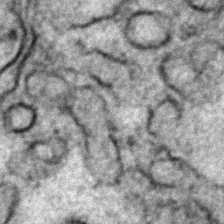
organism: Zebrafish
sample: Zebrafish embryo